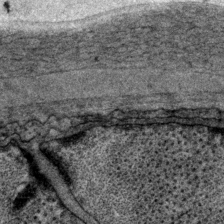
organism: P. pacificus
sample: Pharynx